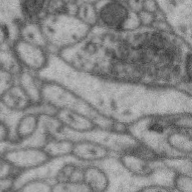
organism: Zebra finch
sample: Brain